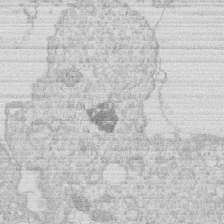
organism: Human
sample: Macrophage cells